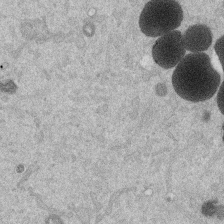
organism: Mouse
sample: Dividing mouse embryo 1 cell stage